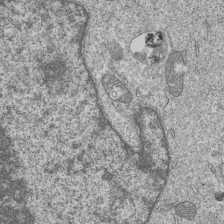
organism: Human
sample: MDA-MB-231 cells